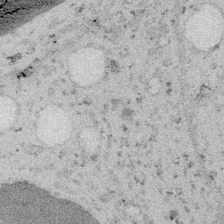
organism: Embia sp.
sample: Silk gland